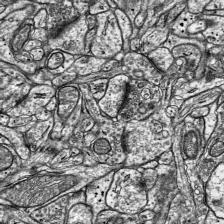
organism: Mouse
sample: Visual Cortex